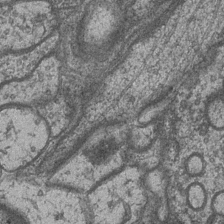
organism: Drosophila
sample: Optic medulla